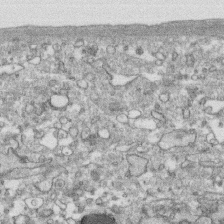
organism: Human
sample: CRL-1474